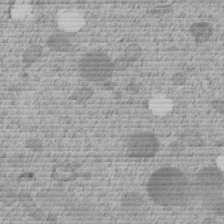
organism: C. elegans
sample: C. elegans embryo early stage